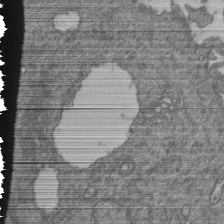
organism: Human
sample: Retinal organoid Rod and Cone cells